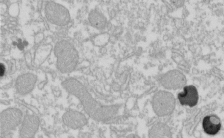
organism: Xenopus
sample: Cilia; centrioles in frog embryo cells